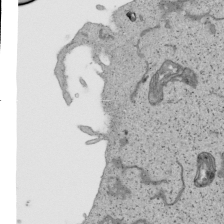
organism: Human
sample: Mitochondria in HCT116 cells